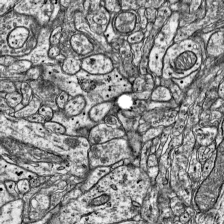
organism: Mouse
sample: Visual Cortex